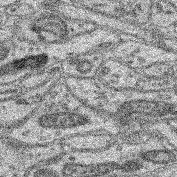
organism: Mouse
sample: Retina